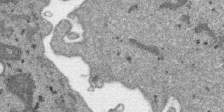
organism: Human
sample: Lung epithelial cells infected with SARS-CoV-2